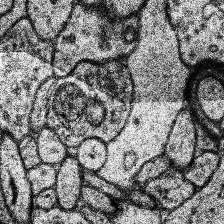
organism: Human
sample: Temporal Lobe